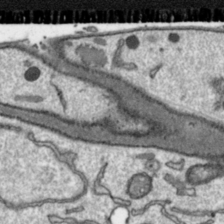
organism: Toxoplasma gondii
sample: Parasites in a vacuole inside a host cell